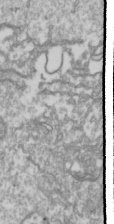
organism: Drosophila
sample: Cell division; meiosis; drosophila spermatocytes